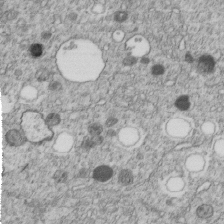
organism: C. elegans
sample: C. elegans embryo early stage